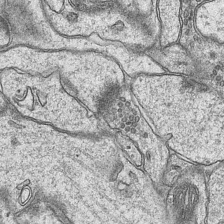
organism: Mouse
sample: CA1 Hippocampus